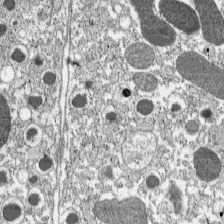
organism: C57BL Mouse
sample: Pancreatic islet